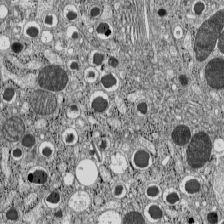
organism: C57BL Mouse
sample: Pancreatic islet